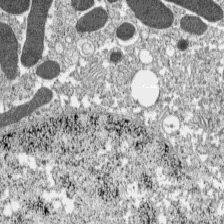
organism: C57BL Mouse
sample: Pancreatic islet